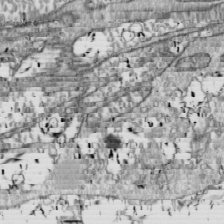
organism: Drosophila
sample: Cell division; meiosis; drosophila spermatocytes